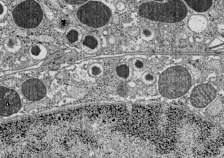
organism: C57BL Mouse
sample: Pancreatic islet